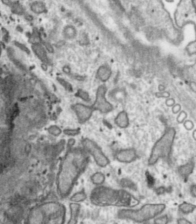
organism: Toxoplasma gondii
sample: Parasites in a vacuole inside a host cell